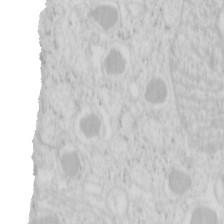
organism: Mouse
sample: Pancreas